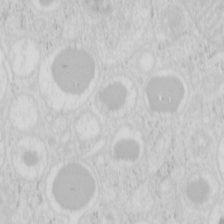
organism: Mouse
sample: Pancreas